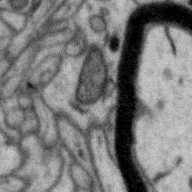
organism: Zebra finch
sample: Brain